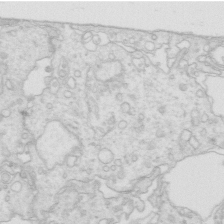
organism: Mouse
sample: Multiciliated cells